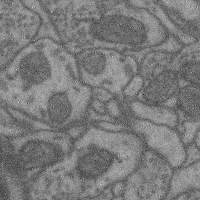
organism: Mouse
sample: Cerebral cortex